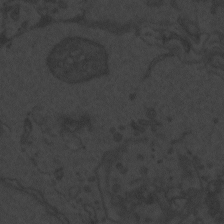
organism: Zebrafish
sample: Macrophage infected with Toxoplasma gondii